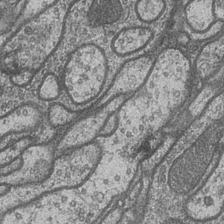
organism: Drosophila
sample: Optic medulla